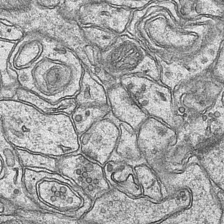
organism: Mouse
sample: CA1 Hippocampus